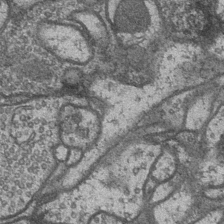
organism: Drosophila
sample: Optic medulla